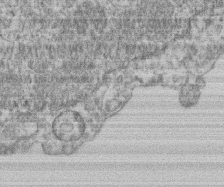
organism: Mouse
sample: T cell stromal cell synapse